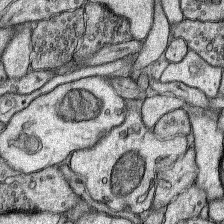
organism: Rat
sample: Hippocampus